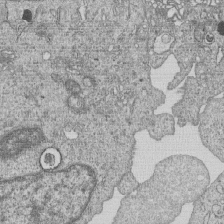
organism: Human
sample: MDA-MB-231 cells